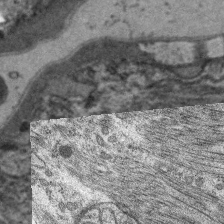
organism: C. elegans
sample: Pharynx